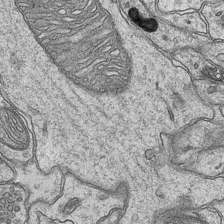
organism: Mouse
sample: CA1 Hippocampus